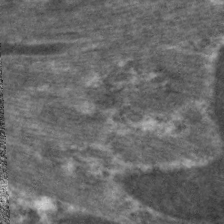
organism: C. elegans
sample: Pharynx